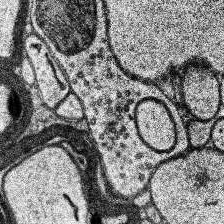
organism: Human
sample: Temporal Lobe